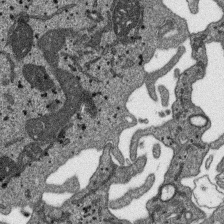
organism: Human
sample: Lung epithelial cells infected with SARS-CoV-2